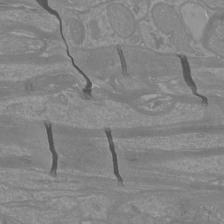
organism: Mouse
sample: Cortical neurons